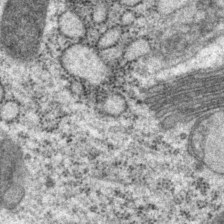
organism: P. pacificus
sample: Pharynx